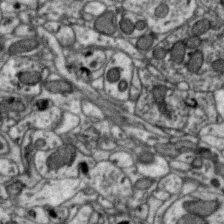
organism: Zebra finch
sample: Brain